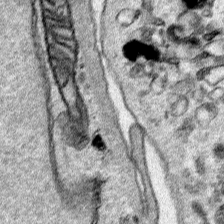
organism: Human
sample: Mitochondria in HCT116 cells